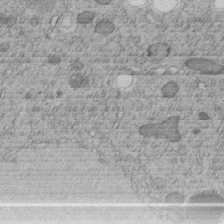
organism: C. elegans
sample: C. elegans embryo early stage